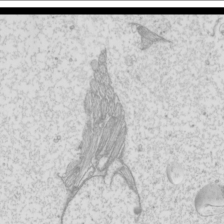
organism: Mouse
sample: Cilia; mouse epididymis